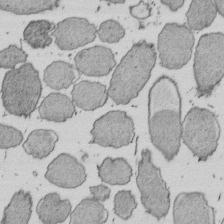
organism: E. coli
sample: Bacterial nucleoid